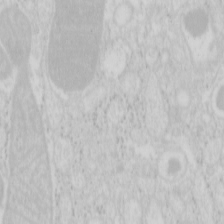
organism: Mouse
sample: Pancreas